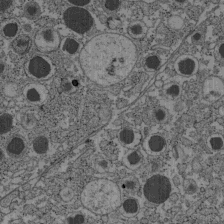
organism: C57BL Mouse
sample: Pancreatic islet